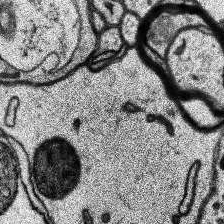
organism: Human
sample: Temporal Lobe